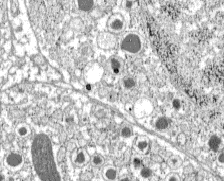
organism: C57BL Mouse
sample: Pancreatic islet